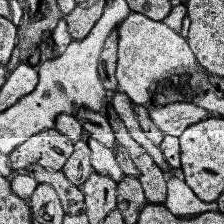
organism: Human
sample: Temporal Lobe